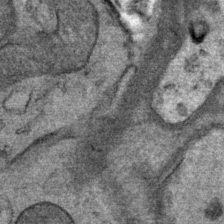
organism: Mouse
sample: Mouse Salivary gland